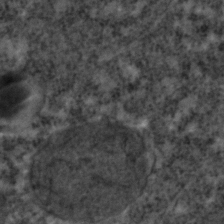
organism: C. elegans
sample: C. elegans embryo